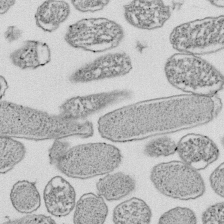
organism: E. coli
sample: Bacterial nucleoid